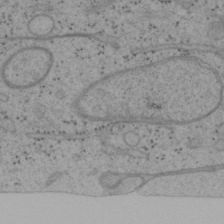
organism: Human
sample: HeLa cells